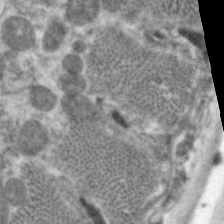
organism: C. elegans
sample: Pharynx